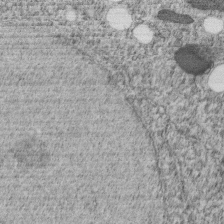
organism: C. elegans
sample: C. elegans embryo early stage